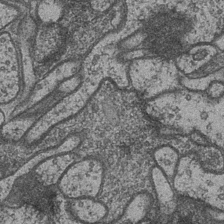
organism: Drosophila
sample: Optic medulla